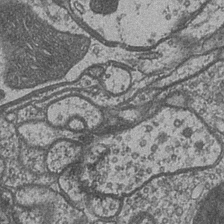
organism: Drosophila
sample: Optic medulla